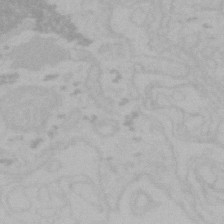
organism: Mouse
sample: Choroid plexus